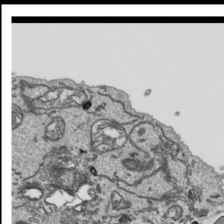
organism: Human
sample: Mitochondria in HCT116 cells